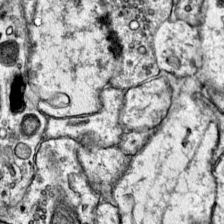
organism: Mouse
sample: Primary visual cortex